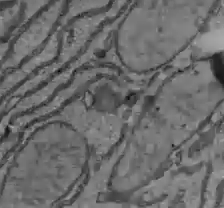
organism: C57BL Mouse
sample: Liver